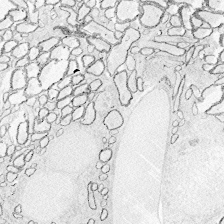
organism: Zebrafish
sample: Whole-Brain